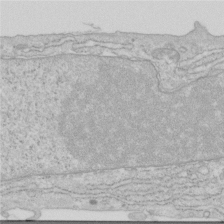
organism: Human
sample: Centriole in RPE cells